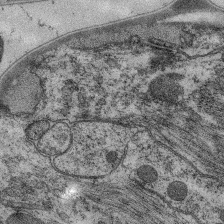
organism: C. elegans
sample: Pharynx